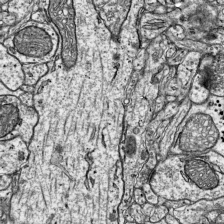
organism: Mouse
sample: Visual Cortex